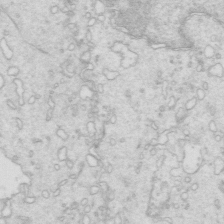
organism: Mouse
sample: Multiciliated cells